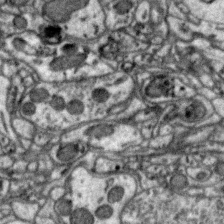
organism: Zebra finch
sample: Brain